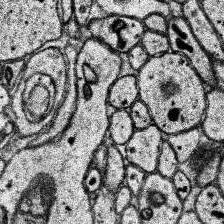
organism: Human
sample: Temporal Lobe